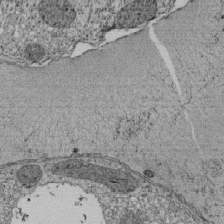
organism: Tetrahymena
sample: Cilia in tetrahymena